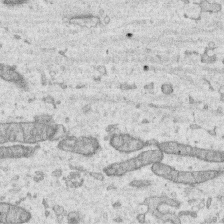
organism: Human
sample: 1205lu cells